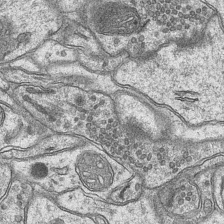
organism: Mouse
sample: CA1 Hippocampus